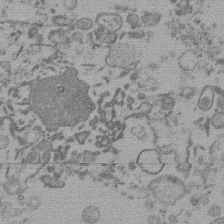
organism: Mouse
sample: Dividing mouse embryo 1 cell stage